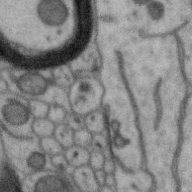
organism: Zebra finch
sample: Brain